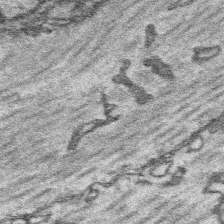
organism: Platynereis dumerilii